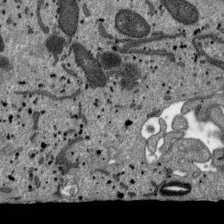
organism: Human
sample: Lung epithelial cells, uninfected (mock) control